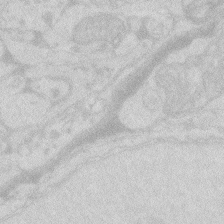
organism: Zebrafish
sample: Macrophage